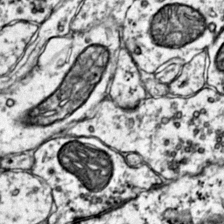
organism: Mouse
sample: Primary visual cortex